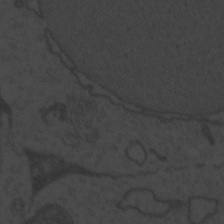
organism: Zebrafish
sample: Macrophage infected with Toxoplasma gondii